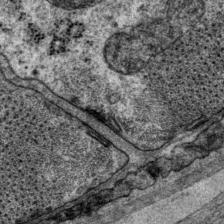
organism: P. pacificus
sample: Pharynx